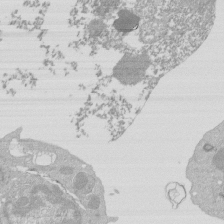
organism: Mouse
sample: Activated Pmel transgenic CD8+ T Cells